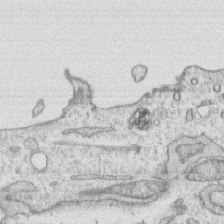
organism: Human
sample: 1205lu cells